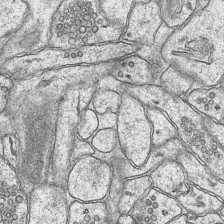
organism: Mouse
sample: CA1 Hippocampus